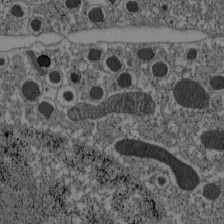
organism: C57BL Mouse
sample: Pancreatic islet